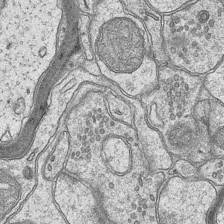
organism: Mouse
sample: CA1 Hippocampus